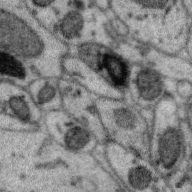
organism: Zebra finch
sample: Brain